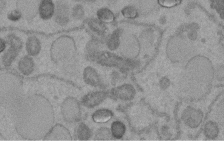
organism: C. elegans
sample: C. elegans embryo early stage